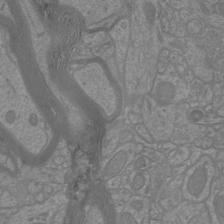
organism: Mouse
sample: Cortical neurons